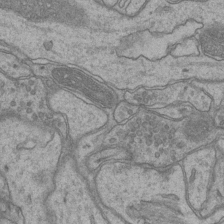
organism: Mouse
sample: CA1 Hippocampus